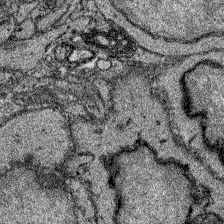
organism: Zebrafish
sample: Larval olfactory bulb